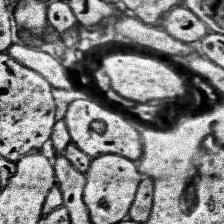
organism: Human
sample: Temporal Lobe